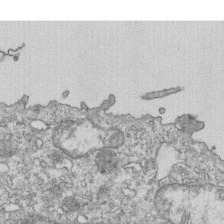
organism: Human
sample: HeLa cell HIV synapse